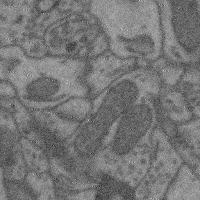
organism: Mouse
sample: Cerebral cortex